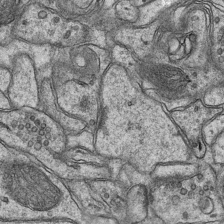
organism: Mouse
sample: CA1 Hippocampus